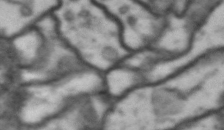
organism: Drosophila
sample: Brain